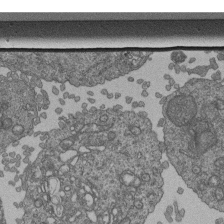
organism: Human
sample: Retinal organoid Rod and Cone cells